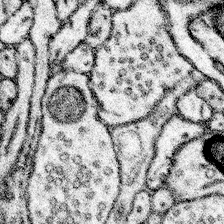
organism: Mouse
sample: Somatosensory cortex neuropil